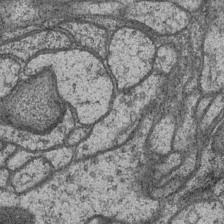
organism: Drosophila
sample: Optic medulla